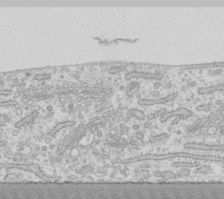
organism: Human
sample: Fibroblast cells